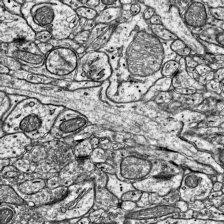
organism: Mouse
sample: Visual Cortex